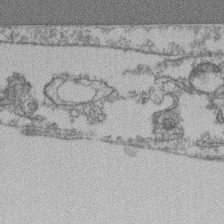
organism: Mouse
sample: T cell stromal cell synapse